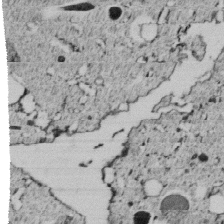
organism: C. elegans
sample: C. elegans embryo early stage